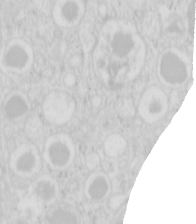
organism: Mouse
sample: Pancreas